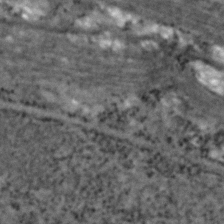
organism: Zebrafish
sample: Zebrafish embryo